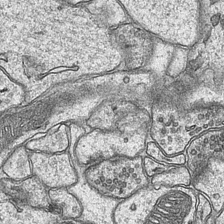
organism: Mouse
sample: CA1 Hippocampus